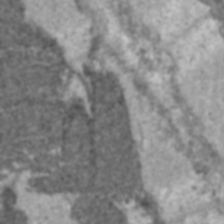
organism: C57BL Mouse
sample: Heart